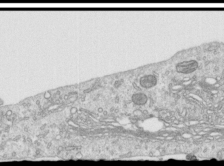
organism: Human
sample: Centriole in RPE cells